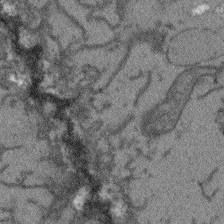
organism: Arabidopsis thaliana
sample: Root tip